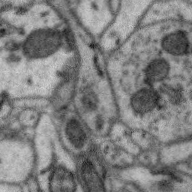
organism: Zebra finch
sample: Brain